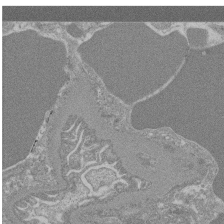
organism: Mouse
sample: Glomerulus